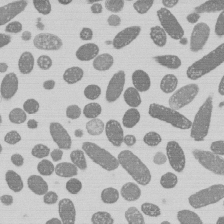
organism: E. coli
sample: Bacterial nucleoid